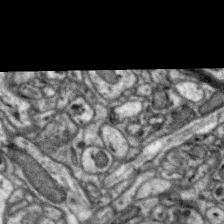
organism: Zebra finch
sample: Brain